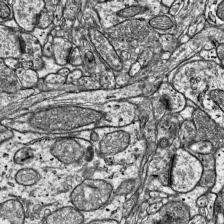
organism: Mouse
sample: Visual Cortex